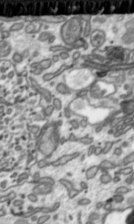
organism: Toxoplasma gondii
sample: Parasites in a vacuole inside a host cell